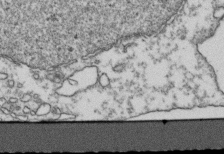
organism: Human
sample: Activated Jurkat CD4+ T cells